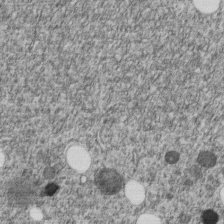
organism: C. elegans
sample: C. elegans embryo early stage